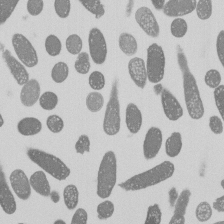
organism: E. coli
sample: Bacterial nucleoid